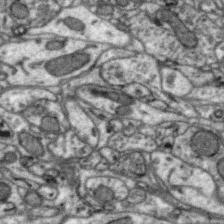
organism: Zebra finch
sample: Brain